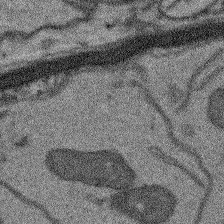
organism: Arabidopsis thaliana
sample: Root tip